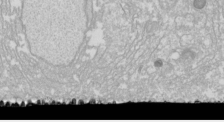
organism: Drosophila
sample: Cell division; meiosis; drosophila spermatocytes